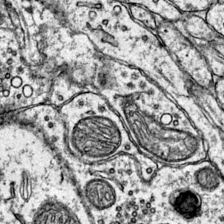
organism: Mouse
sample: Primary visual cortex